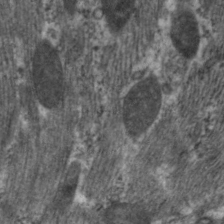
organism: C. elegans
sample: Pharynx